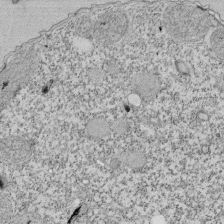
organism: Tetrahymena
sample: Cilia in tetrahymena